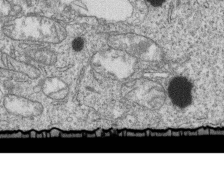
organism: Human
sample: HeLa cell HIV synapse